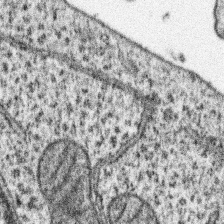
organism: Human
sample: HeLa cells